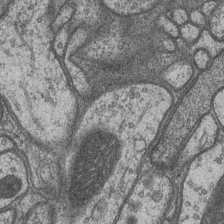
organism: Drosophila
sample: Optic medulla